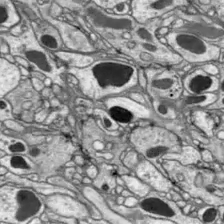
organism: Drosophila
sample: Optic lobe